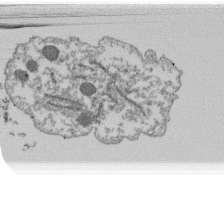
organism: Dictyostelium discoideum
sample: Dictyostelium multivesicular bodies